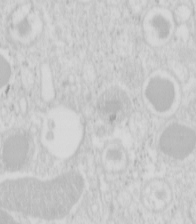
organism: Mouse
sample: Pancreas